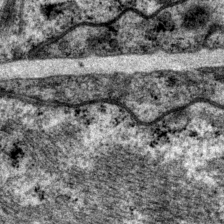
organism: P. pacificus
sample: Pharynx